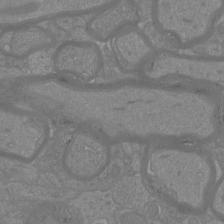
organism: Mouse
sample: Cortical neurons